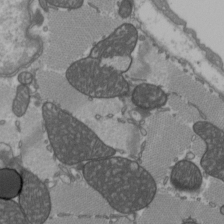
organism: C57BL Mouse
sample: Heart